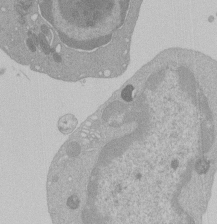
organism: Mouse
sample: Activated Pmel transgenic CD8+ T Cells